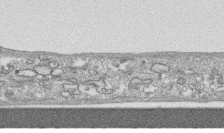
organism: Human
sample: CRL-1474